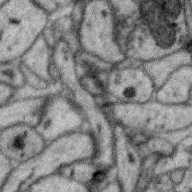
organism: Zebra finch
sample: Brain